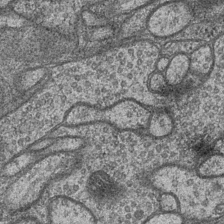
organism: Drosophila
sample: Optic medulla